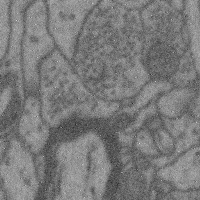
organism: Mouse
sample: Cerebral cortex